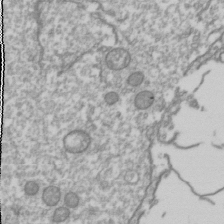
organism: Drosophila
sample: Cell division; meiosis; drosophila spermatocytes